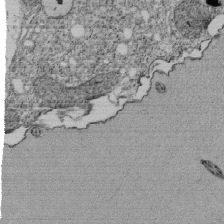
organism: Tetrahymena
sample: Cilia in tetrahymena